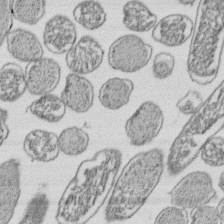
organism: E. coli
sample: Bacterial nucleoid